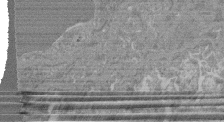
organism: Mouse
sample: Glomerulus